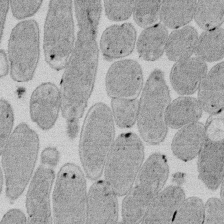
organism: E. coli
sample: Bacterial nucleoid